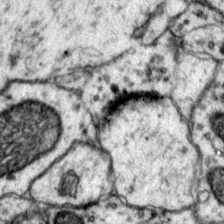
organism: Mouse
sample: Primary visual cortex